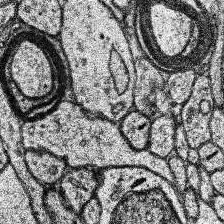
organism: Human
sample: Temporal Lobe